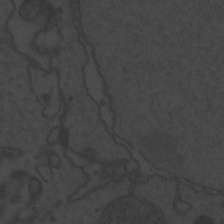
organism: Zebrafish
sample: Macrophage infected with Toxoplasma gondii